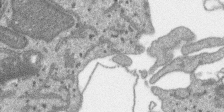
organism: Human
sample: Lung epithelial cells infected with SARS-CoV-2